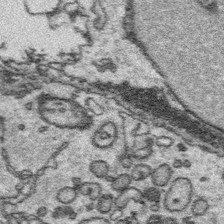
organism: Platynereis dumerilii